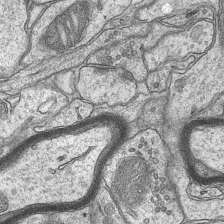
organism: Mouse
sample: CA1 Hippocampus